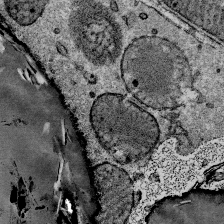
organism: Mouse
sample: Mouse Salivary gland